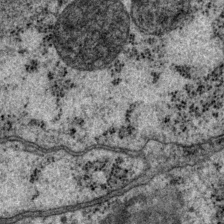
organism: P. pacificus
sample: Pharynx